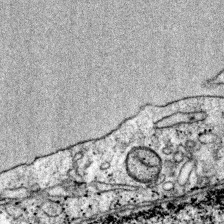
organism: Human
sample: HeLa cells